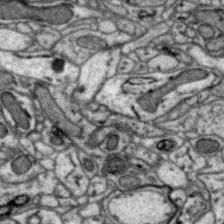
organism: Zebra finch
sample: Brain